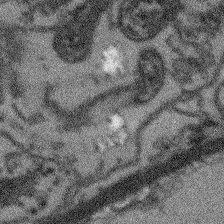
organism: Arabidopsis thaliana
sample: Root tip